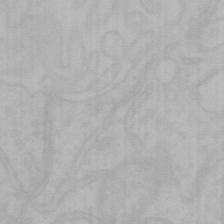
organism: Mouse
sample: Choroid plexus